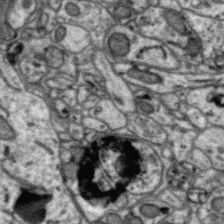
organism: Zebra finch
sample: Brain